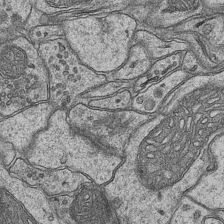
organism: Mouse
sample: CA1 Hippocampus